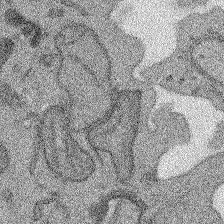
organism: Human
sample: HeLa cells